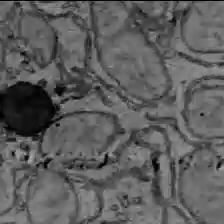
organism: C57BL Mouse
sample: Liver